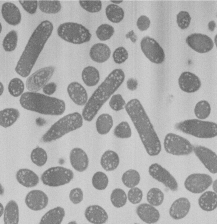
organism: E. coli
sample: Bacterial nucleoid